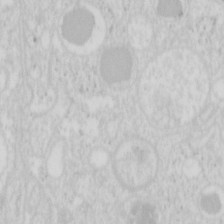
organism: Mouse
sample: Pancreas